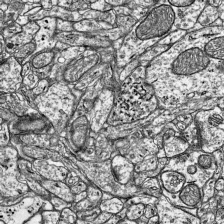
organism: Mouse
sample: Visual Cortex